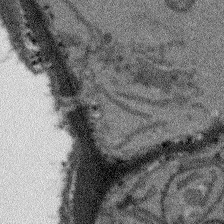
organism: Arabidopsis thaliana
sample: Root tip